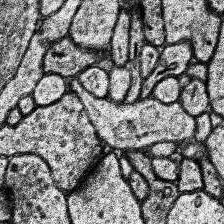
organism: Human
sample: Temporal Lobe